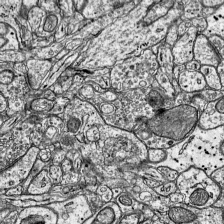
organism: Mouse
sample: Visual Cortex